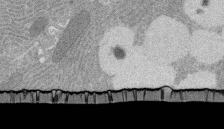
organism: Rat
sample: Salivary granule